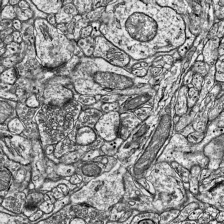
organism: Mouse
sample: Visual Cortex